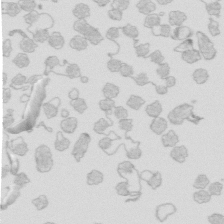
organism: Mouse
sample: Multiciliated cells